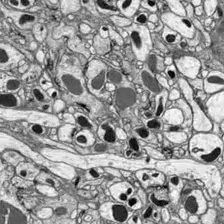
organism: Drosophila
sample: Optic lobe